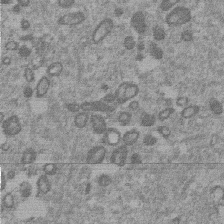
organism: Mouse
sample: Dividing mouse embryo 1 cell stage